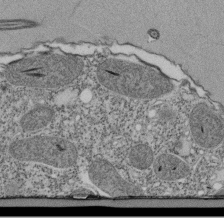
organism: Tetrahymena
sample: Cilia in tetrahymena